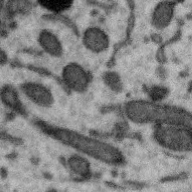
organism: Zebra finch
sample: Brain